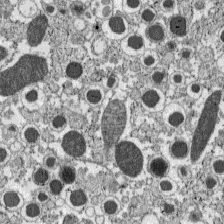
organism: C57BL Mouse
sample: Pancreatic islet